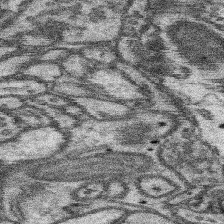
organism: Mouse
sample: Somatosensory cortex neuropil